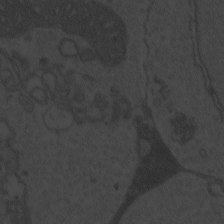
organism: Zebrafish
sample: Macrophage infected with Toxoplasma gondii